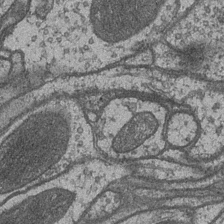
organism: Drosophila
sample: Optic medulla